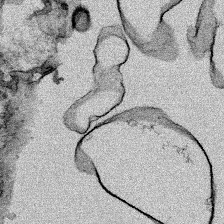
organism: Human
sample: Mitochondria in HCT116 cells